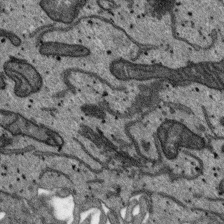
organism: Human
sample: Lung epithelial cells, uninfected (mock) control